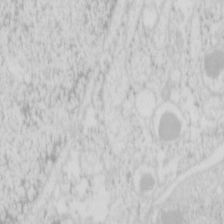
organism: Mouse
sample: Pancreas